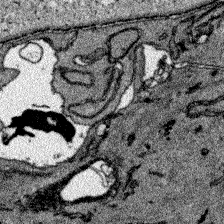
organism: Zebrafish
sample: Larval olfactory bulb